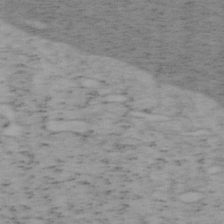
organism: Mouse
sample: OT-I killer T cells with ID8 ovarian cancer cells